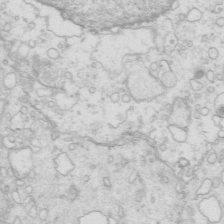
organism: Mouse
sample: Multiciliated cells